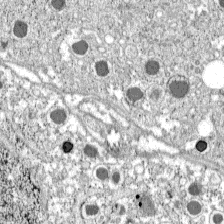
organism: C57BL Mouse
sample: Pancreatic islet